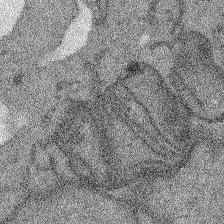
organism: Human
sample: HeLa cells